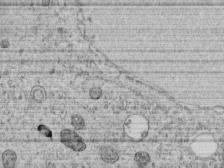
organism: C. elegans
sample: C. elegans embryo early stage